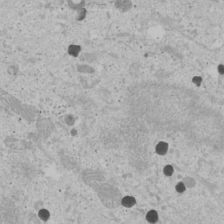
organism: Human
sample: Mitochondria in U2OS cells